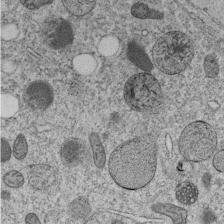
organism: C. elegans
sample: C. elegans embryo early stage